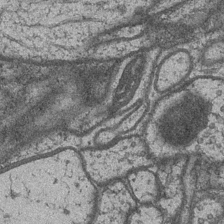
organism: Drosophila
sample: Optic medulla